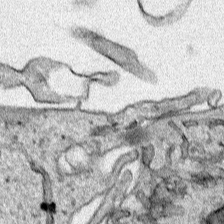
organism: Human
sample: Mitochondria in HCT116 cells